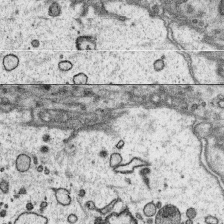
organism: Platynereis dumerilii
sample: Parapodia